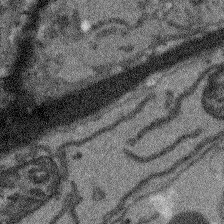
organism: Arabidopsis thaliana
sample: Root tip